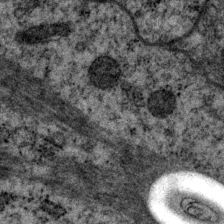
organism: P. pacificus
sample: Pharynx